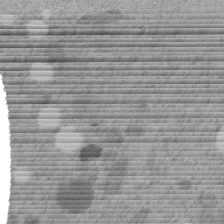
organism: C. elegans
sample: C. elegans embryo early stage